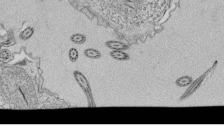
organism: Tetrahymena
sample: Cilia in tetrahymena